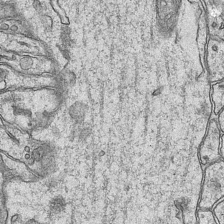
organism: Mouse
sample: CA1 Hippocampus